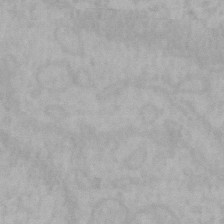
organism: Mouse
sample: Choroid plexus